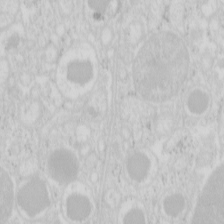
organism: Mouse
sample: Pancreas